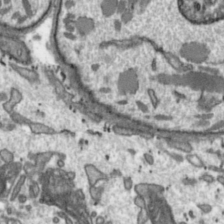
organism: Toxoplasma gondii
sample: Parasites in a vacuole inside a host cell